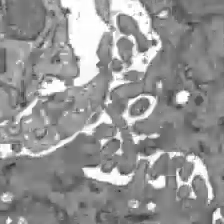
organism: C57BL Mouse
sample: Liver